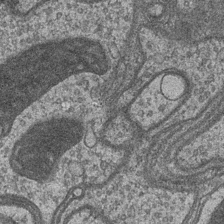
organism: Drosophila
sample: Optic medulla